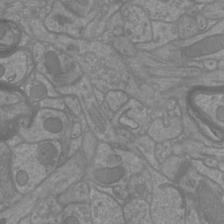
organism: Mouse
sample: Cortical neurons